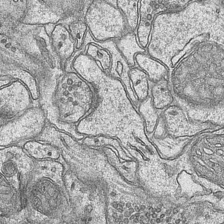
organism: Mouse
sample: CA1 Hippocampus